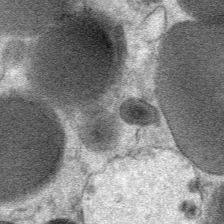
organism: Mouse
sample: Mouse Salivary gland